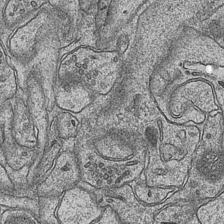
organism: Mouse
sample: CA1 Hippocampus